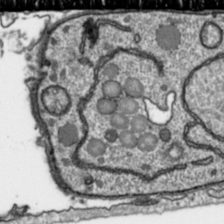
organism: Toxoplasma gondii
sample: Parasites in a vacuole inside a host cell